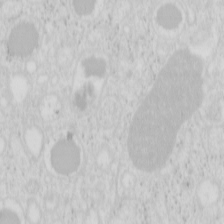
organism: Mouse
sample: Pancreas